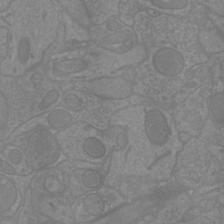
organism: Mouse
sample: Cortical neurons